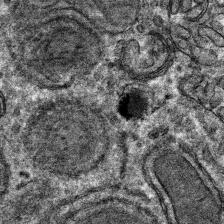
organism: Mouse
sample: Mouse hepatocytes